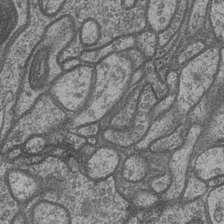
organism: Drosophila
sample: Optic medulla